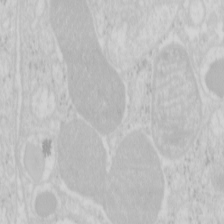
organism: Mouse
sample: Pancreas